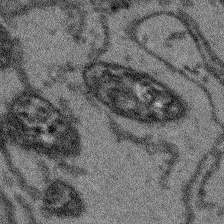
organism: Arabidopsis thaliana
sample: Root tip